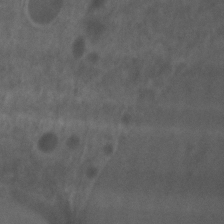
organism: Zebrafish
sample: Zebrafish embryo